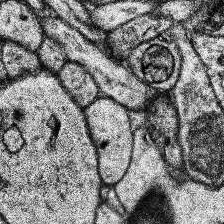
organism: Human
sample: Temporal Lobe